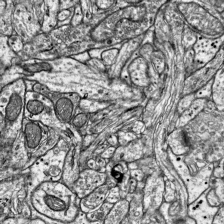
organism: Mouse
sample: Visual Cortex